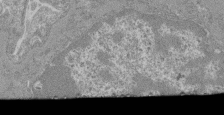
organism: Mouse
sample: Glomerulus